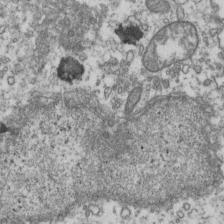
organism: Human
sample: Activated Jurkat CD4+ T cells